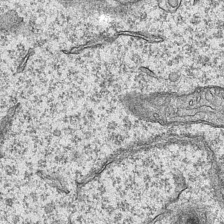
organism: Mouse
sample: CA1 Hippocampus